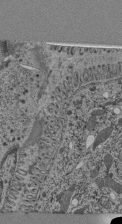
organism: C. elegans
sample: C. elegans pharynx